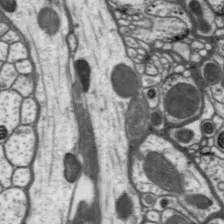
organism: Drosophila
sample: Protocerebral bridge